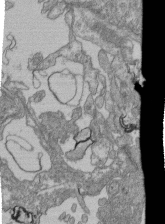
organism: Human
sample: Retinal organoid Rod and Cone cells